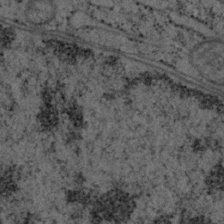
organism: Human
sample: HeLa cells